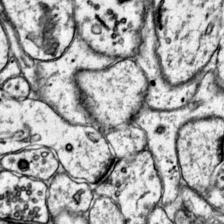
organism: Mouse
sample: Primary visual cortex